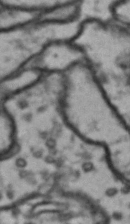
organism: Drosophila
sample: Brain